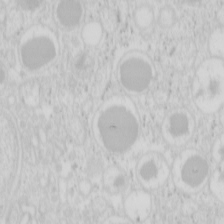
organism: Mouse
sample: Pancreas